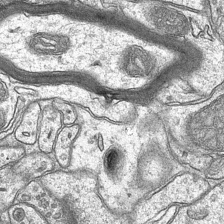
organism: Mouse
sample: CA1 Hippocampus